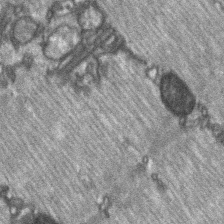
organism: C57BL Mouse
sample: Soleus